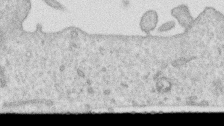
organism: Human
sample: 1205lu cells